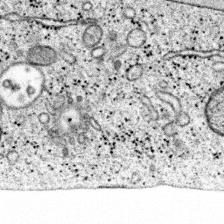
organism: Human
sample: HeLa cells